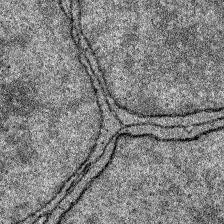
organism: Zebrafish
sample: Larval olfactory bulb